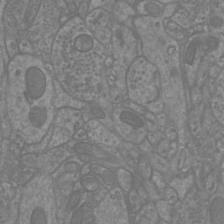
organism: Mouse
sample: Cortical neurons